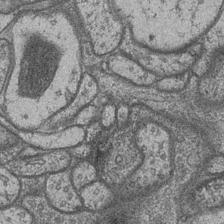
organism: Drosophila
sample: Optic medulla